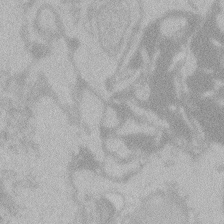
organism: Zebrafish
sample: Macrophage infected with Toxoplasma gondii